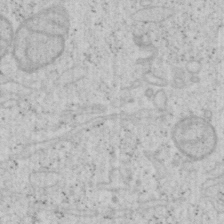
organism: Human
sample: HeLa cells